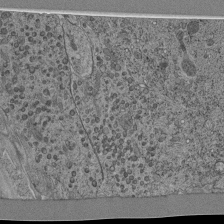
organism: C. elegans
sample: C. elegans pharynx